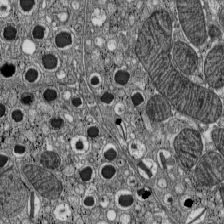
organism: C57BL Mouse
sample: Pancreatic islet